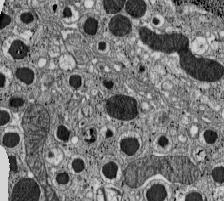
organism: C57BL Mouse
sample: Pancreatic islet